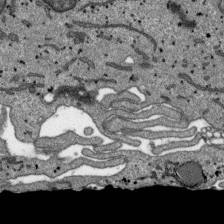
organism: Human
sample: Lung epithelial cells, uninfected (mock) control